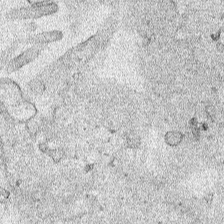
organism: Human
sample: Mitochondria in HCT116 cells